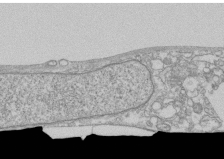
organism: Human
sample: CRL-1474